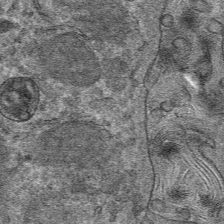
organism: Mouse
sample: Mouse hepatocytes